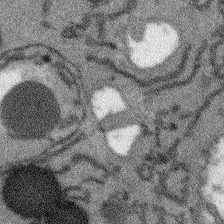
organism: Arabidopsis thaliana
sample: Root tip